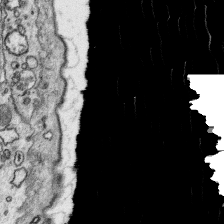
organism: Platynereis dumerilii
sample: Parapodia